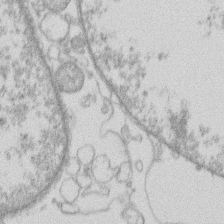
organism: Human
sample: Macrophage cells